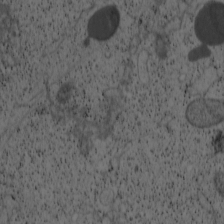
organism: African green monkey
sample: COS-7 cells